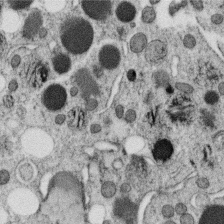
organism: C. elegans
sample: C. elegans oocyte; sperm cells